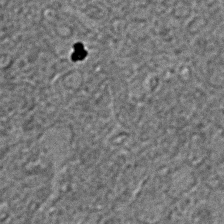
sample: Trachea